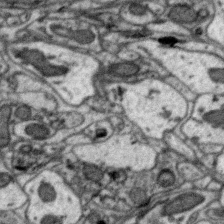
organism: Zebra finch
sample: Brain